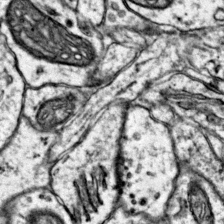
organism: Mouse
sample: Primary visual cortex